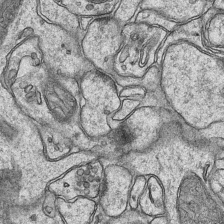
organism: Mouse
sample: CA1 Hippocampus